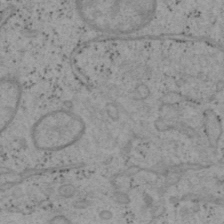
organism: Human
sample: HeLa cells